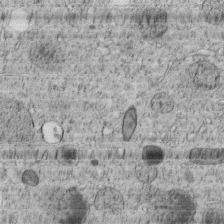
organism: C. elegans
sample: C. elegans embryo early stage